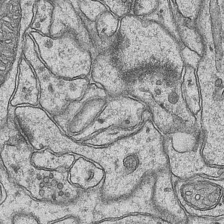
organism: Mouse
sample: CA1 Hippocampus